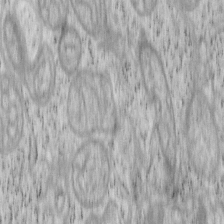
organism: Human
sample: HeLa cells